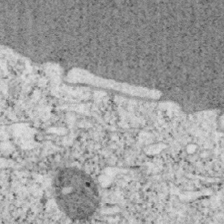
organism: Mouse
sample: OT-I killer T cells with ID8 ovarian cancer cells